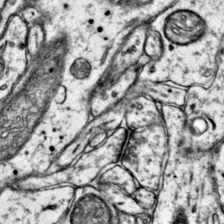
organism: Mouse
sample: Primary visual cortex